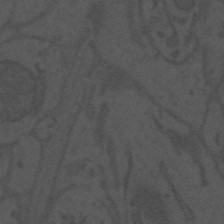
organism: Mouse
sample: Suprachiasmatic nucleus